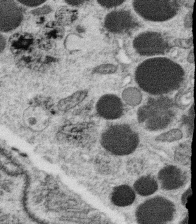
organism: C. elegans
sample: C. elegans oocyte; sperm cells